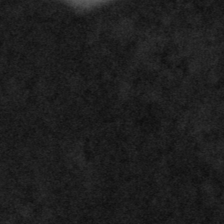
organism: Tuwongella immobilis